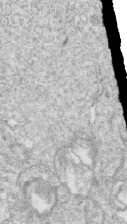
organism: Human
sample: HeLa cell HIV synapse